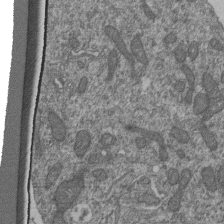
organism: Human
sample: Retinal organoid Rod and Cone cells